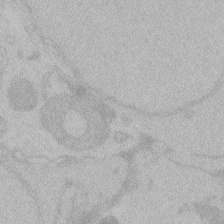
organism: Zebrafish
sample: Macrophage infected with Toxoplasma gondii